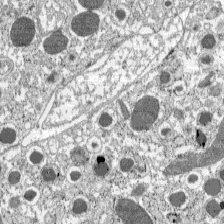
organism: C57BL Mouse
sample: Pancreatic islet